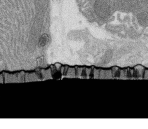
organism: Rat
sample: Salivary granule